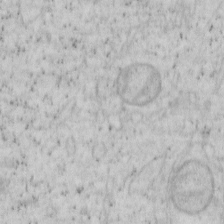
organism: Human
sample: HeLa cells